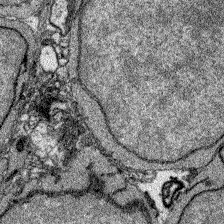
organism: Zebrafish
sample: Larval olfactory bulb